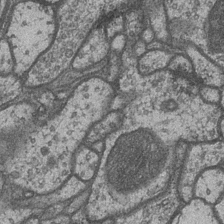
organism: Drosophila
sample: Optic medulla